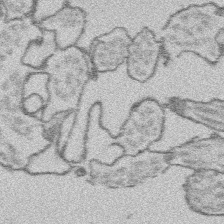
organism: Platynereis dumerilii